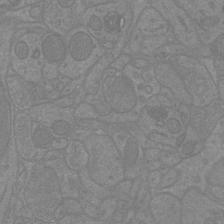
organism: Mouse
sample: Cortical neurons